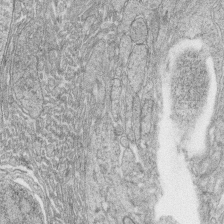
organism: Zebrafish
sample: synaptic ribbons in rod cells and cone cells